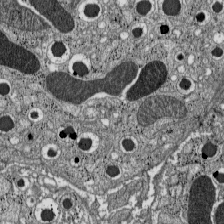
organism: C57BL Mouse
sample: Pancreatic islet